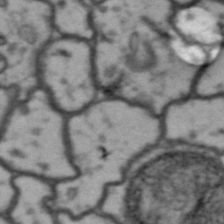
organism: Drosophila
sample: Brain